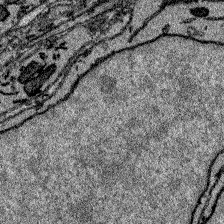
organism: Zebrafish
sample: Larval olfactory bulb